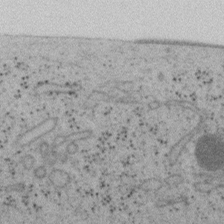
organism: Human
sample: HeLa cells